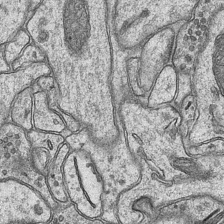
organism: Mouse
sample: CA1 Hippocampus